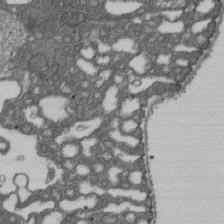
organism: Drosophila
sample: Nephrocyte